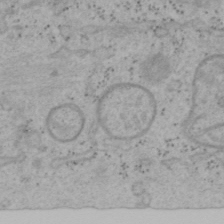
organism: Human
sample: HeLa cells